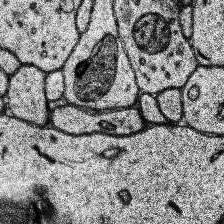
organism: Human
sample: Temporal Lobe